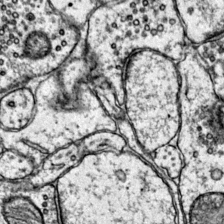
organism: Mouse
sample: Primary visual cortex